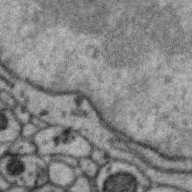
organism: Zebra finch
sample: Brain